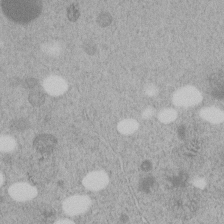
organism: C. elegans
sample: C. elegans embryo early stage